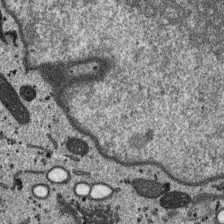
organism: Human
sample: Lung epithelial cells infected with SARS-CoV-2